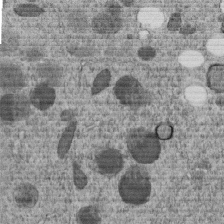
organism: C. elegans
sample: C. elegans embryo early stage